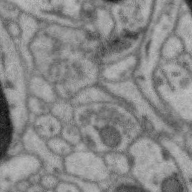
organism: Zebra finch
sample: Brain